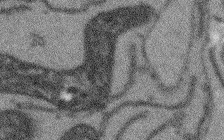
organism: Arabidopsis thaliana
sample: Root tip